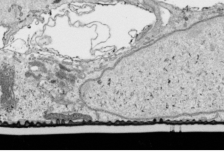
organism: Human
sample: Mitochondria in HCT116 cells